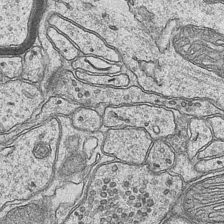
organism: Mouse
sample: CA1 Hippocampus